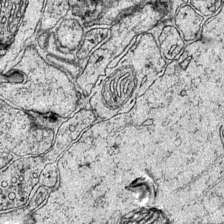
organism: Mouse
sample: Primary visual cortex